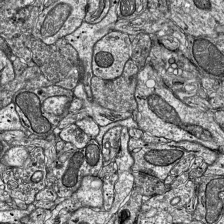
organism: Mouse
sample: Visual Cortex